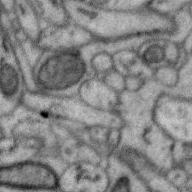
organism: Zebra finch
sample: Brain